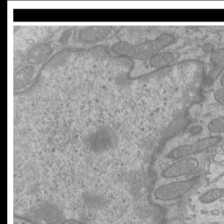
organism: Mouse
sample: Cilia; mouse epididymis